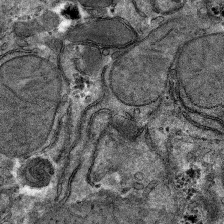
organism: Mouse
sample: Mouse hepatocytes